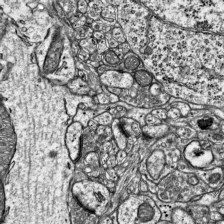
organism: Mouse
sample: Visual Cortex